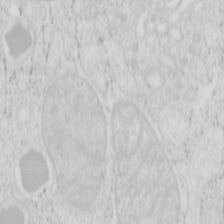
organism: Mouse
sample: Pancreas